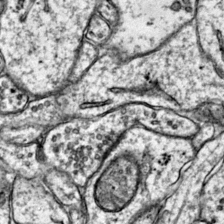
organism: Mouse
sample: Primary visual cortex